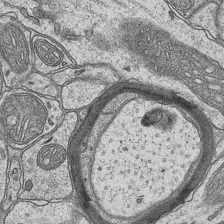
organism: Mouse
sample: CA1 Hippocampus